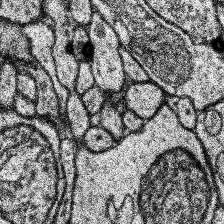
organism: Human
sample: Temporal Lobe